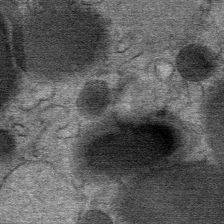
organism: Mouse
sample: Mouse Salivary gland